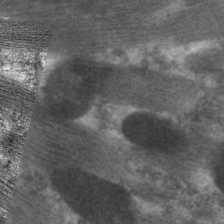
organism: C. elegans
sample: Pharynx